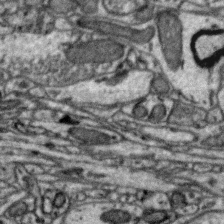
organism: Zebra finch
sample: Brain